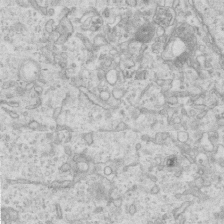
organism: Mouse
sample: Centriole in ependymal cells